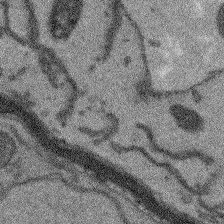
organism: Arabidopsis thaliana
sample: Root tip